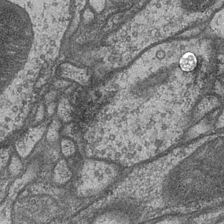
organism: Drosophila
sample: Optic medulla